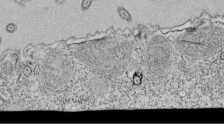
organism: Tetrahymena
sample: Cilia in tetrahymena